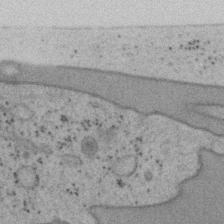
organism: Human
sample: HeLa cells